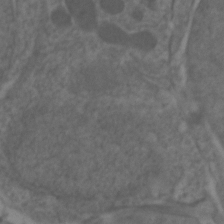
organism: Zebrafish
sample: Zebrafish embryo